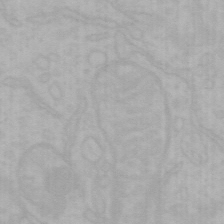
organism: Mouse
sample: Choroid plexus